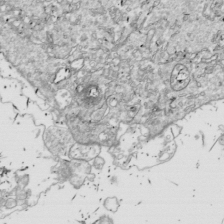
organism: Drosophila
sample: Cell division; meiosis; drosophila spermatocytes